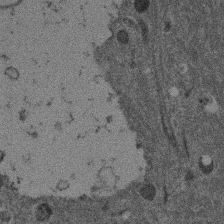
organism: Mouse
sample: Dividing mouse embryo 1 cell stage